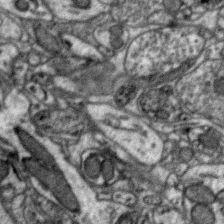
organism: Zebra finch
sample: Brain